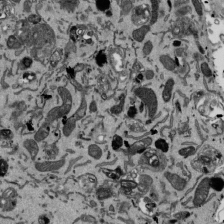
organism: Mouse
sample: ED-1 cell nuclei; centrioles